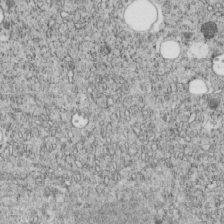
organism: C. elegans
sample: C. elegans embryo early stage